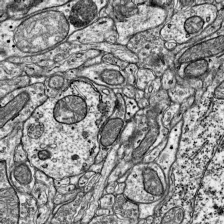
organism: Mouse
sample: Visual Cortex